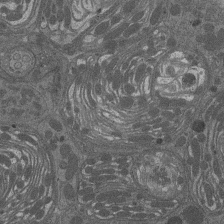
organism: Drosophila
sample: Antenna